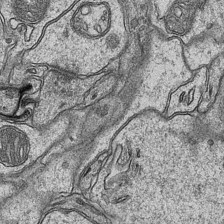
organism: Mouse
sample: CA1 Hippocampus